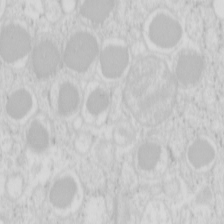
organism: Mouse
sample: Pancreas